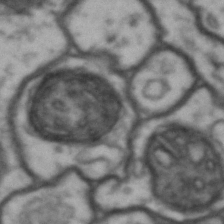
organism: Drosophila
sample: Brain